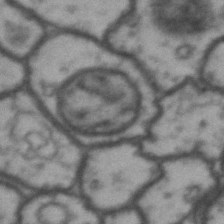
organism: Drosophila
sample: Brain